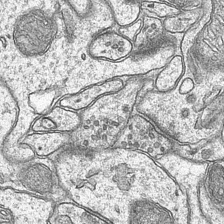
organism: Mouse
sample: CA1 Hippocampus